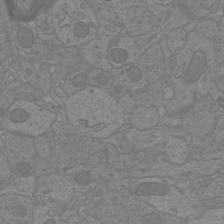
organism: Mouse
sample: Cortical neurons